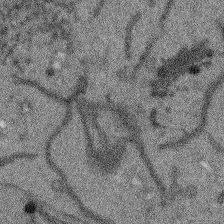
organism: Arabidopsis thaliana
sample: Root tip